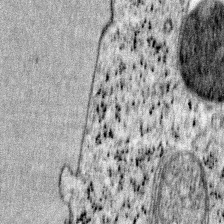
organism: Human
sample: HeLa cells